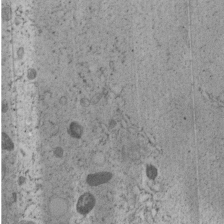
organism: C. elegans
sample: C. elegans embryo early stage